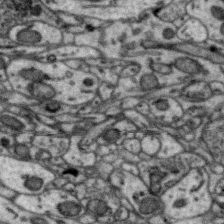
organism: Zebra finch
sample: Brain